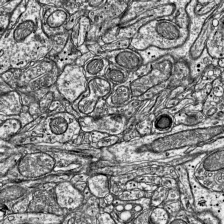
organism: Mouse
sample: Visual Cortex